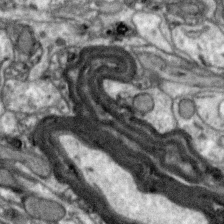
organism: Zebra finch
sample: Brain